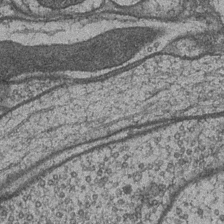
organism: Drosophila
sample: Optic medulla